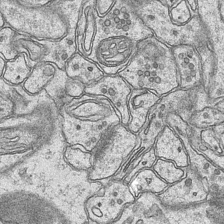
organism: Mouse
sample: CA1 Hippocampus